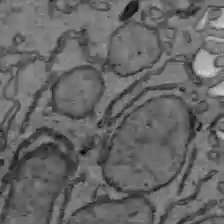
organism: C57BL Mouse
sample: Liver